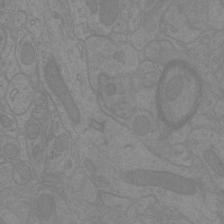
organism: Mouse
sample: Cortical neurons